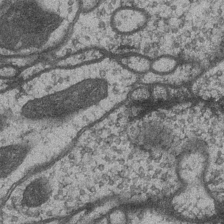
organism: Drosophila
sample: Optic medulla